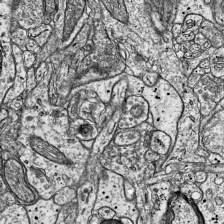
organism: Mouse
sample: Visual Cortex